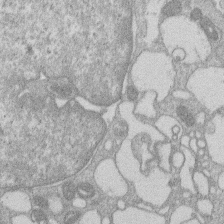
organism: Human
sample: Macrophage cells